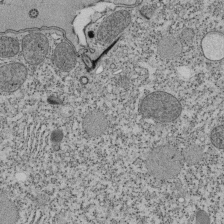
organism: Tetrahymena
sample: Cilia in tetrahymena